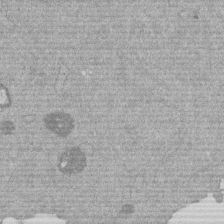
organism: Mouse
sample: Dividing mouse embryo 1 cell stage